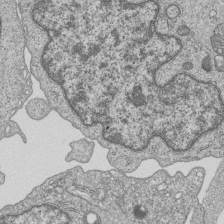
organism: Human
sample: MDA-MB-231 cells